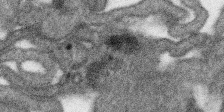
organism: Human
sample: Lung epithelial cells infected with SARS-CoV-2